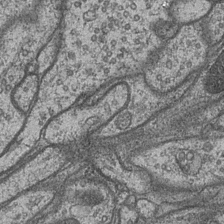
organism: Drosophila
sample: Optic medulla